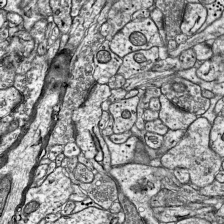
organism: Mouse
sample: Visual Cortex